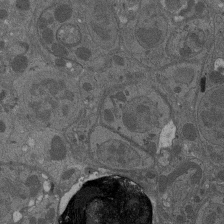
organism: Drosophila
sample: Antenna